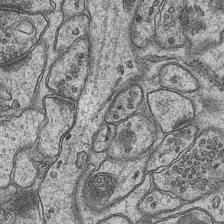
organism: Mouse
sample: CA1 Hippocampus